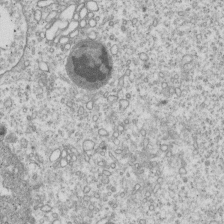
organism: Human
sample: MDA-MB-231 cells